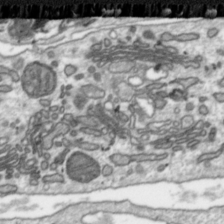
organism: Toxoplasma gondii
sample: Parasites in a vacuole inside a host cell